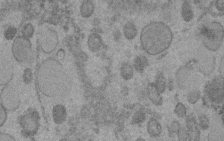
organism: C. elegans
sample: C. elegans embryo early stage